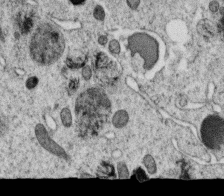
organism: C. elegans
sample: C. elegans oocyte; sperm cells